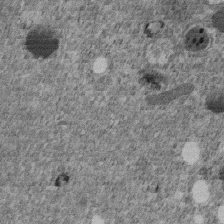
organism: C. elegans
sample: C. elegans embryo early stage